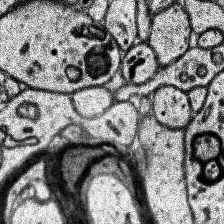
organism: Human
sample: Temporal Lobe